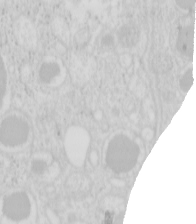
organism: Mouse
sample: Pancreas